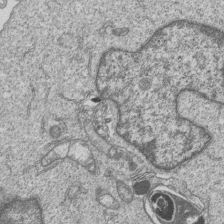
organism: Human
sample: MDA-MB-231 cells